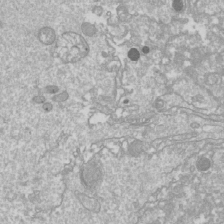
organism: Drosophila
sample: Cell division; meiosis; drosophila spermatocytes